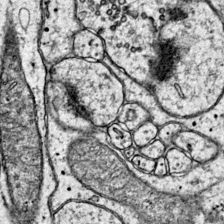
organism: Mouse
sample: Primary visual cortex